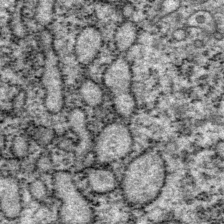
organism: P. pacificus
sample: Pharynx